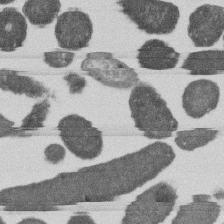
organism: E. coli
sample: Bacterial nucleoid